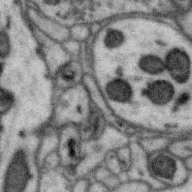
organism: Zebra finch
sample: Brain